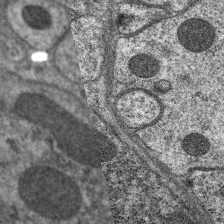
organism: C. elegans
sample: Pharynx